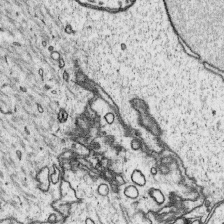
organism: Platynereis dumerilii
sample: Parapodia